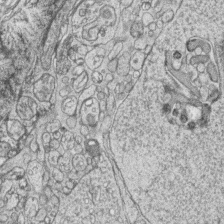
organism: Zebrafish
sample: synaptic ribbons in rod cells and cone cells